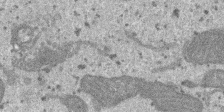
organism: Human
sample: Lung epithelial cells infected with SARS-CoV-2